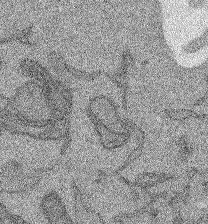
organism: Human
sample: HeLa cells